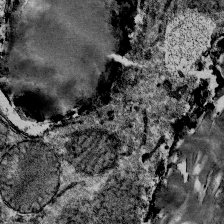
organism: Mouse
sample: Mouse Salivary gland